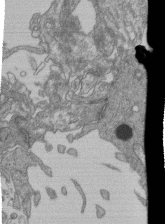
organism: Human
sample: Retinal organoid Rod and Cone cells